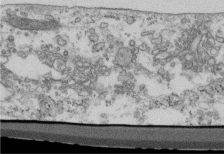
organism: Mouse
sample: Cilia; retinal pigment epithelium